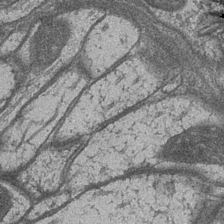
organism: Drosophila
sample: Optic medulla